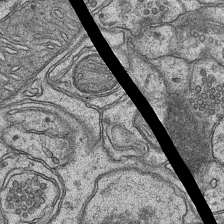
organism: Mouse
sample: CA1 Hippocampus